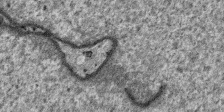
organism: Human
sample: Lung epithelial cells, uninfected (mock) control